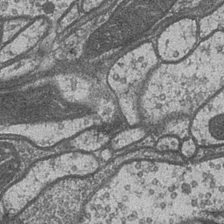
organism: Drosophila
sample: Optic medulla